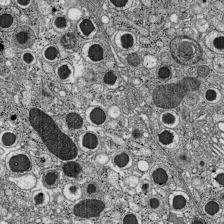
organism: C57BL Mouse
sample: Pancreatic islet